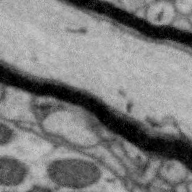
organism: Zebra finch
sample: Brain